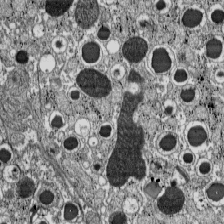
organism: C57BL Mouse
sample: Pancreatic islet